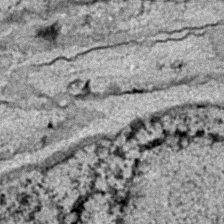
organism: C. elegans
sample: C. elegans embryo